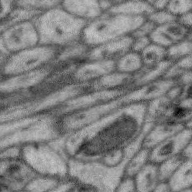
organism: Zebra finch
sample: Brain